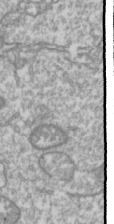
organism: Drosophila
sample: Cell division; meiosis; drosophila spermatocytes